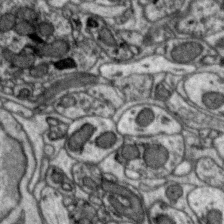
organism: Zebra finch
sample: Brain